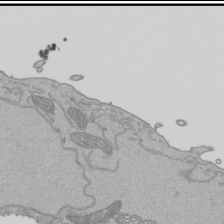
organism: Human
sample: Mitochondria in HCT116 cells